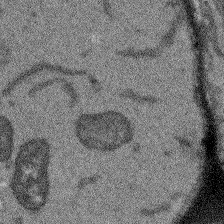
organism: Arabidopsis thaliana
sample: Root tip